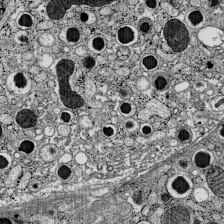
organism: C57BL Mouse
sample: Pancreatic islet